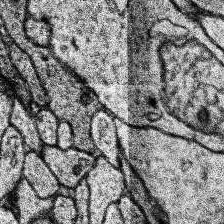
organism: Human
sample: Temporal Lobe